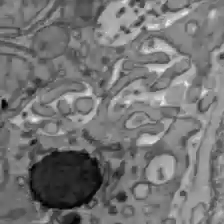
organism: C57BL Mouse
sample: Liver